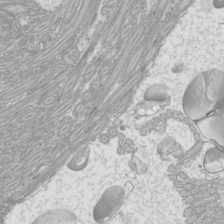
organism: Mouse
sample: Cilia; mouse epididymis